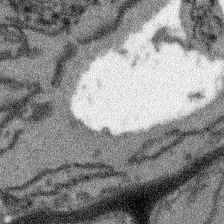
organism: Arabidopsis thaliana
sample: Root tip